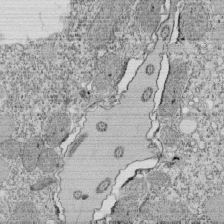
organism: Tetrahymena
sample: Cilia in tetrahymena